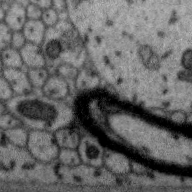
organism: Zebra finch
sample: Brain